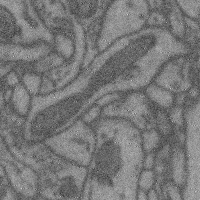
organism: Mouse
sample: Cerebral cortex